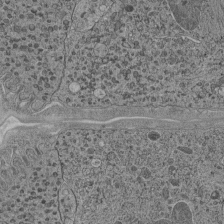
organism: C. elegans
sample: C. elegans pharynx